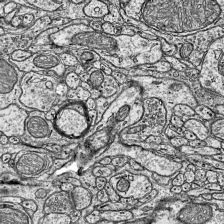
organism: Mouse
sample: Visual Cortex